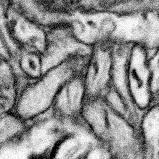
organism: Mouse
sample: Somatosensory cortex neuropil